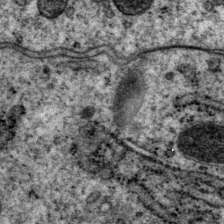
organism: P. pacificus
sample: Pharynx